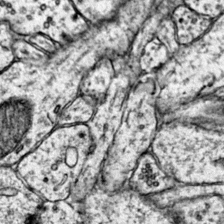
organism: Mouse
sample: Primary visual cortex